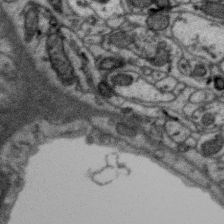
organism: Zebra finch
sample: Brain